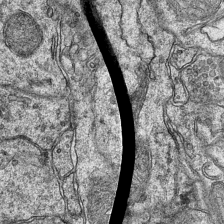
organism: Mouse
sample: CA1 Hippocampus